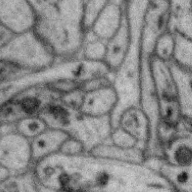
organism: Zebra finch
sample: Brain